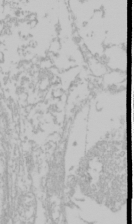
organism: Mouse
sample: Cancer cell death in ED-1 cells